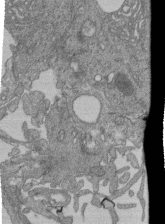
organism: Human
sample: Retinal organoid Rod and Cone cells